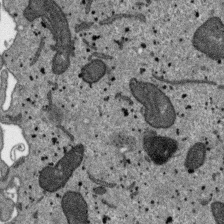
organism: Human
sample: Lung epithelial cells, uninfected (mock) control